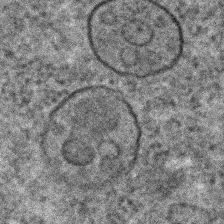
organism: C. elegans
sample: C. elegans embryo